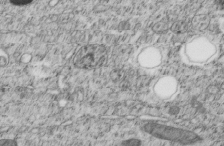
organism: C. elegans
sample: C. elegans embryo early stage